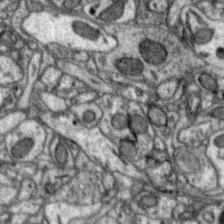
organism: Zebra finch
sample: Brain